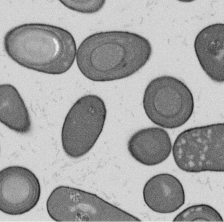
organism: B. subtilis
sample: Bacterial spore